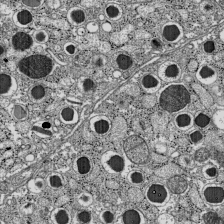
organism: C57BL Mouse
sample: Pancreatic islet